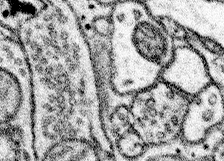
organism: Mouse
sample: Somatosensory cortex neuropil